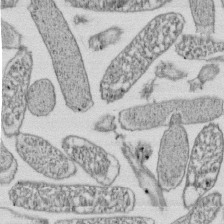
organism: E. coli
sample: Bacterial nucleoid